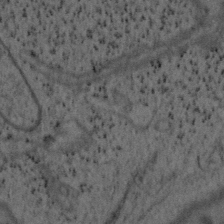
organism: Human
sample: HeLa cells